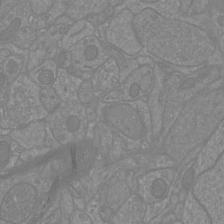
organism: Mouse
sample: Cortical neurons